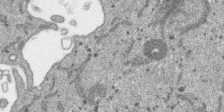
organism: Human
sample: Lung epithelial cells infected with SARS-CoV-2